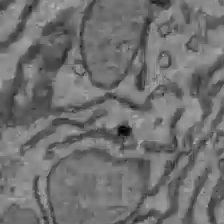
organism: C57BL Mouse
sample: Liver